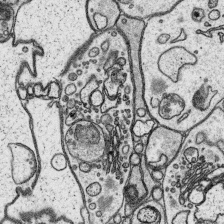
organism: Platynereis dumerilii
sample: Parapodia